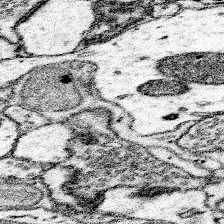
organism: Mouse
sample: Somatosensory cortex neuropil